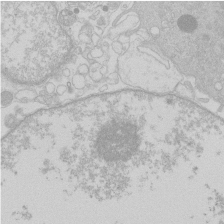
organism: Human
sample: Macrophage cells